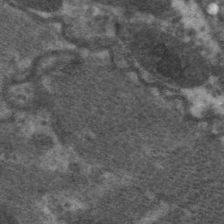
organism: C. elegans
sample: Pharynx